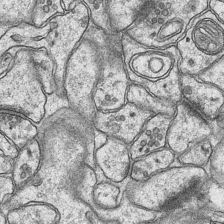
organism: Mouse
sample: CA1 Hippocampus